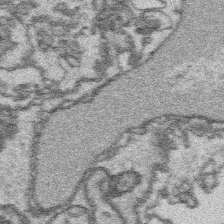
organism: Platynereis dumerilii